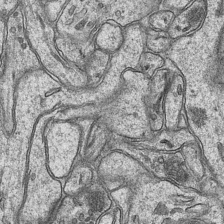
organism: Mouse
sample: CA1 Hippocampus